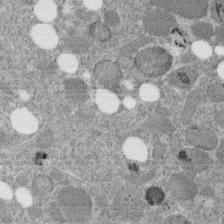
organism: C. elegans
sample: C. elegans embryo early stage